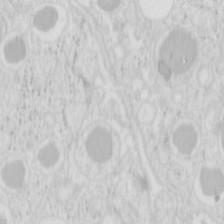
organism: Mouse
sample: Pancreas